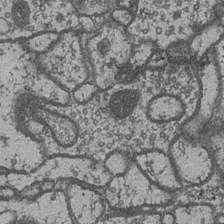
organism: Drosophila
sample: Optic medulla